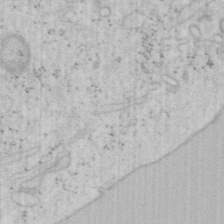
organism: Human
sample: HeLa cells